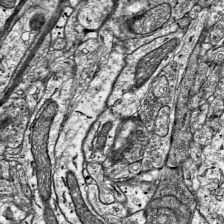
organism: Mouse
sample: Visual Cortex